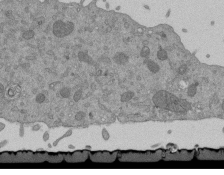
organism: Mouse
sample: ED-1 cell nuclei; centrioles